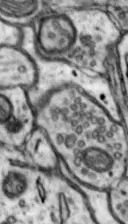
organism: Mouse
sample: Nucleus accumbens